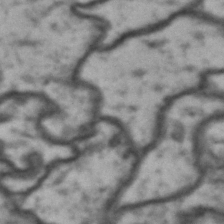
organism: Drosophila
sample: Brain